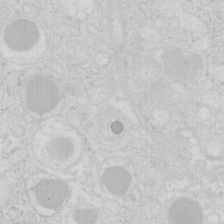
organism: Mouse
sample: Pancreas